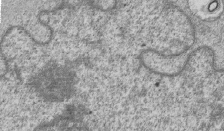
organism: Human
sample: MDA-MB-231 cells